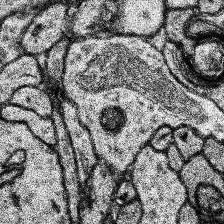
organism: Human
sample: Temporal Lobe